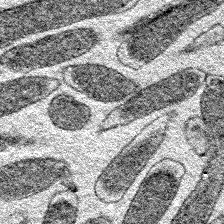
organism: E. coli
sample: E. Coli Bacteria